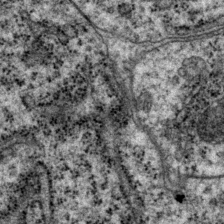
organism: P. pacificus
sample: Pharynx